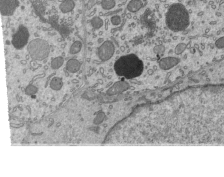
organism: Mouse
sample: Mouse epididymis efferent ductule cilia